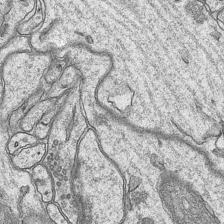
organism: Mouse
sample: CA1 Hippocampus